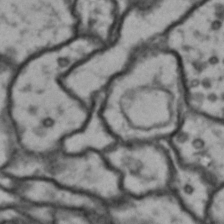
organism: Drosophila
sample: Brain